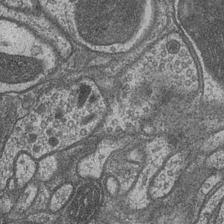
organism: Drosophila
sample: Optic medulla